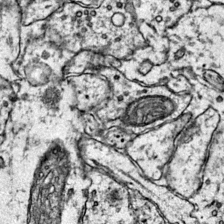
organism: Mouse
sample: Primary visual cortex